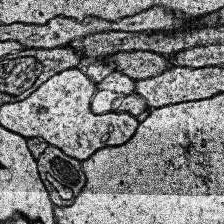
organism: Human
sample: Temporal Lobe